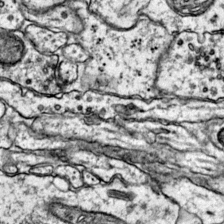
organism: Mouse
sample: Primary visual cortex